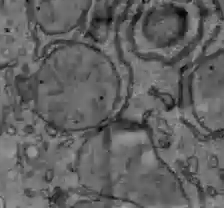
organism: C57BL Mouse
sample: Liver